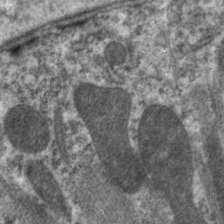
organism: C. elegans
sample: Pharynx